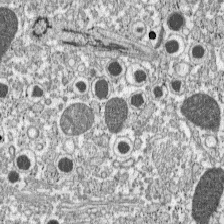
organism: C57BL Mouse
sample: Pancreatic islet